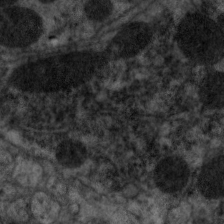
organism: C. elegans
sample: Pharynx